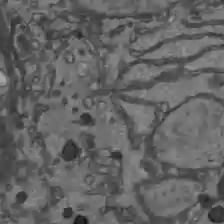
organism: C57BL Mouse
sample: Liver